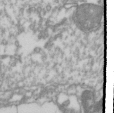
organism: Drosophila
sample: Cell division; meiosis; drosophila spermatocytes